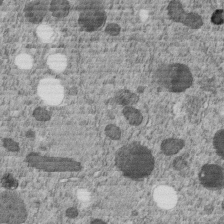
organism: C. elegans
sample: C. elegans embryo early stage